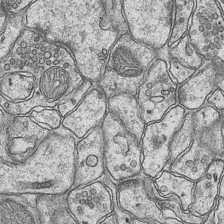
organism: Mouse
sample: CA1 Hippocampus